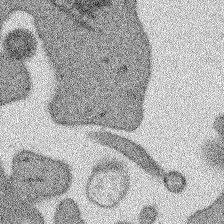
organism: Human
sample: HeLa cells